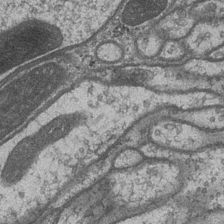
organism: Drosophila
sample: Optic medulla